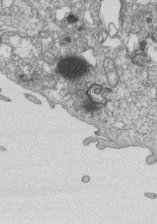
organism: Human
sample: HeLa cell HIV synapse